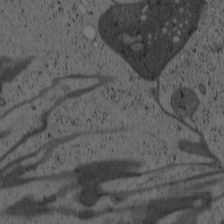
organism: African green monkey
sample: COS-7 cells